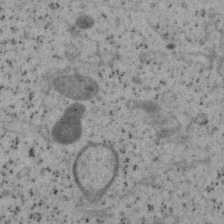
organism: Human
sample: HeLa cells